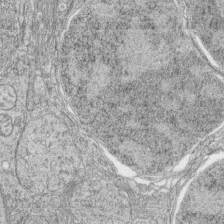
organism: Zebrafish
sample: synaptic ribbons in rod cells and cone cells